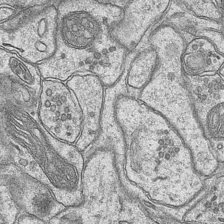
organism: Mouse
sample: CA1 Hippocampus